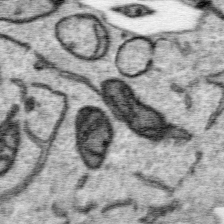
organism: Human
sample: HeLa cells